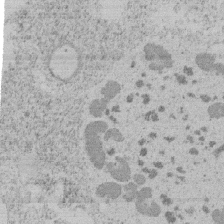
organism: Tetrahymena